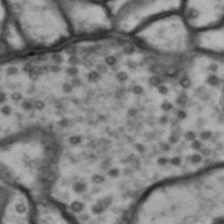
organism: Drosophila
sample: Brain